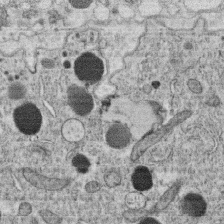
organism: C. elegans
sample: C. elegans oocyte; sperm cells